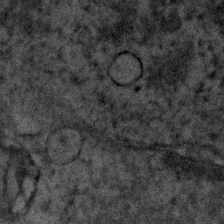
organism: Human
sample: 1205lu cells